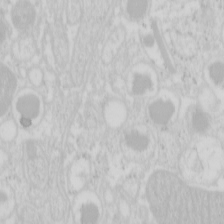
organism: Mouse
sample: Pancreas